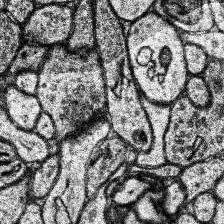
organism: Human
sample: Temporal Lobe